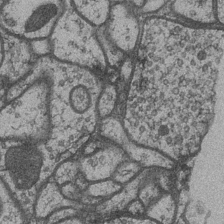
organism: Drosophila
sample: Optic medulla